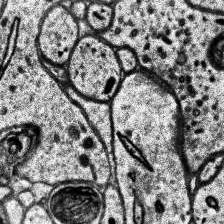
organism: Human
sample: Temporal Lobe